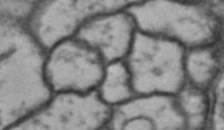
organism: Drosophila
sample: Brain